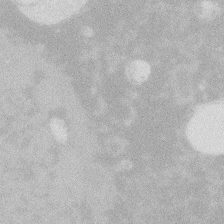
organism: Zebrafish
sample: Macrophage